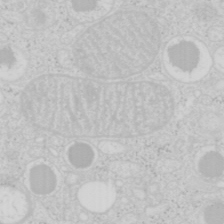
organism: Mouse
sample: Pancreas